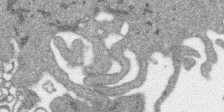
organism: Human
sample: Lung epithelial cells infected with SARS-CoV-2